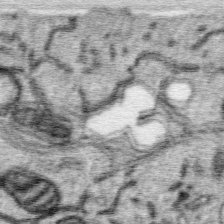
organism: Human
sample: HeLa cells